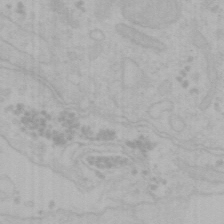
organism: Mouse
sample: Choroid plexus